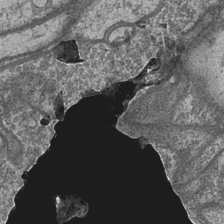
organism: Drosophila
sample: Optic medulla